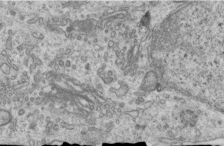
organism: Human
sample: Centriole in RPE cells